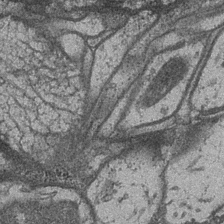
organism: Drosophila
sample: Optic medulla